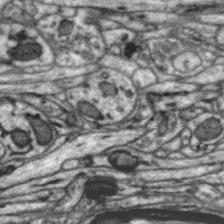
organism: Zebra finch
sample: Brain